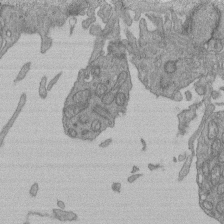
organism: Human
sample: Retinal organoid Rod and Cone cells